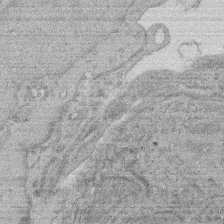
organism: Rat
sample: Salivary granule